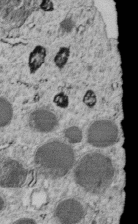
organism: C. elegans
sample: C. elegans embryo early stage